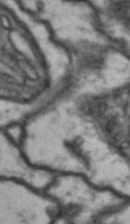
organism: Drosophila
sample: Brain